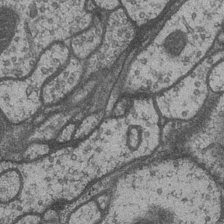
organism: Drosophila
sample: Optic medulla